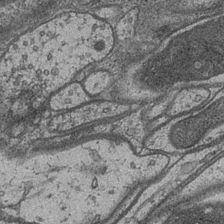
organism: Drosophila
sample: Optic medulla